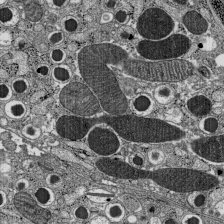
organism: C57BL Mouse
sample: Pancreatic islet